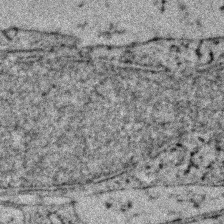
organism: Zebrafish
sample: Zebrafish embryo